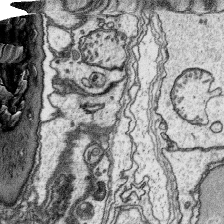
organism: Platynereis dumerilii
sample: Parapodia